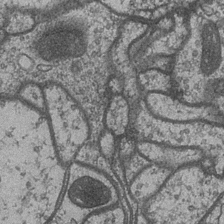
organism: Drosophila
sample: Optic medulla